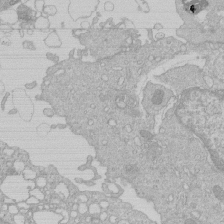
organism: Human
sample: Macrophage cells